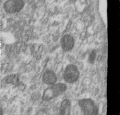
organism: Human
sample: Centriole in RPE cells